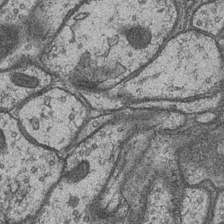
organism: Drosophila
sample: Optic medulla